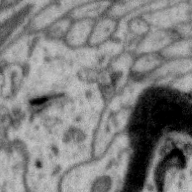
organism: Zebra finch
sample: Brain